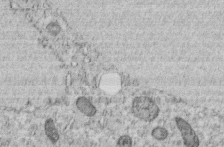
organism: C. elegans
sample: C. elegans embryo early stage